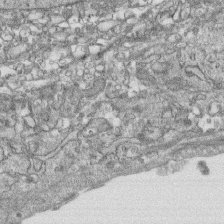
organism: Human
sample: CRL-1474